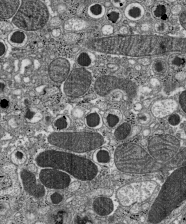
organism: C57BL Mouse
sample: Pancreatic islet